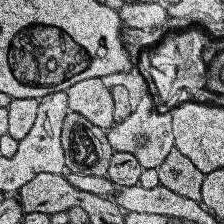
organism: Human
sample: Temporal Lobe